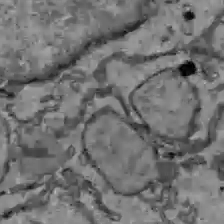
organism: C57BL Mouse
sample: Liver